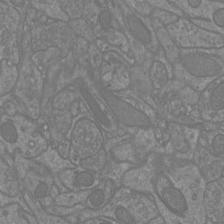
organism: Mouse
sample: Cortical neurons